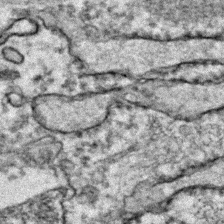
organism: Zebrafish